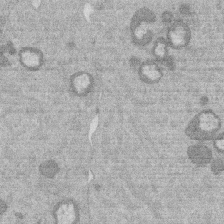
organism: Mouse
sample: Dividing mouse embryo 1 cell stage